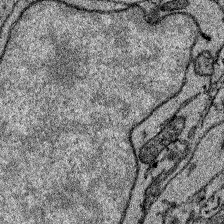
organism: Zebrafish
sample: Larval olfactory bulb